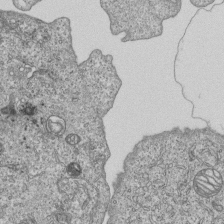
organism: Human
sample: MDA-MB-231 cells